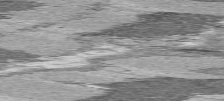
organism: C57BL Mouse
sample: Heart